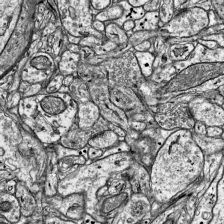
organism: Mouse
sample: Visual Cortex